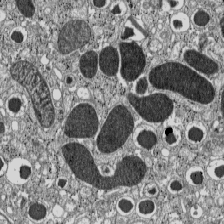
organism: C57BL Mouse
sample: Pancreatic islet